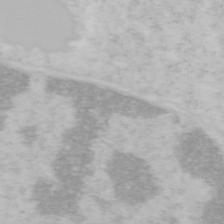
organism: Mouse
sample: OT-I killer T cells with ID8 ovarian cancer cells